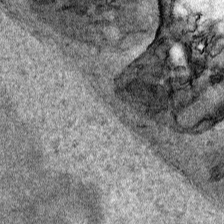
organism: Human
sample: Mitochondria in HCT116 cells